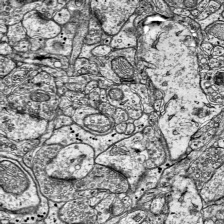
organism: Mouse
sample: Visual Cortex